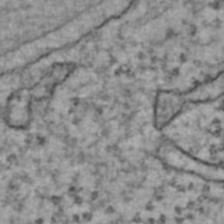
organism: Human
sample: Blood